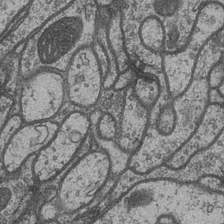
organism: Drosophila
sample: Optic medulla